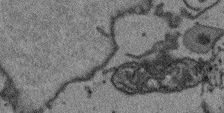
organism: Arabidopsis thaliana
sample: Root tip